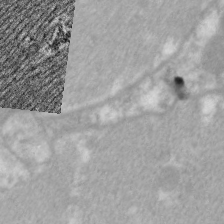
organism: C. elegans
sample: Pharynx